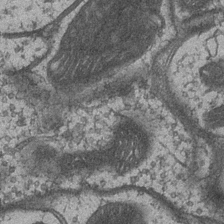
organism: Drosophila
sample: Optic medulla